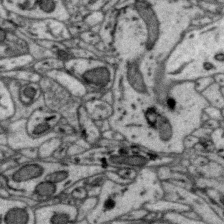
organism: Zebra finch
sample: Brain